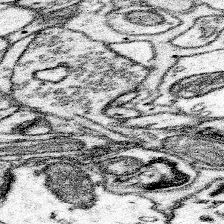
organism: Mouse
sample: Somatosensory cortex neuropil